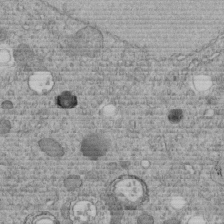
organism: C. elegans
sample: C. elegans embryo early stage